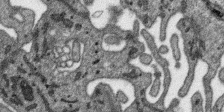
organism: Human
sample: Lung epithelial cells infected with SARS-CoV-2